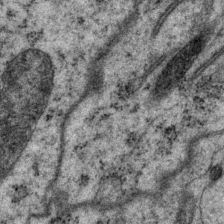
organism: P. pacificus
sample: Pharynx